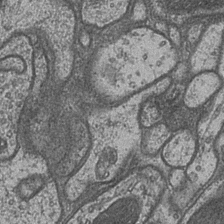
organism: Drosophila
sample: Optic medulla